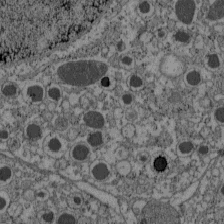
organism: C57BL Mouse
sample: Pancreatic islet